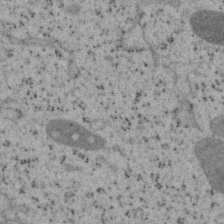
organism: Human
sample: HeLa cells